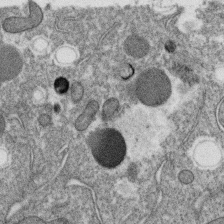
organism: C. elegans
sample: C. elegans oocyte; sperm cells